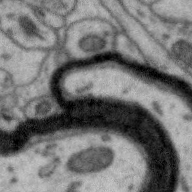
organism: Zebra finch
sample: Brain